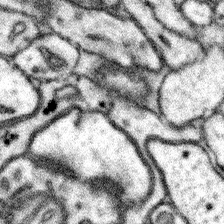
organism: Mouse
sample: Somatosensory cortex neuropil